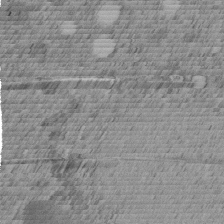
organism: C. elegans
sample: C. elegans embryo early stage